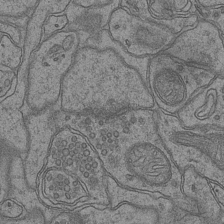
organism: Mouse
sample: CA1 Hippocampus